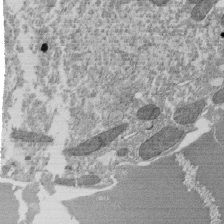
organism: Tetrahymena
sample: Cilia in tetrahymena